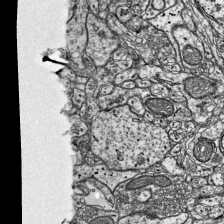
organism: Mouse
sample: Visual Cortex